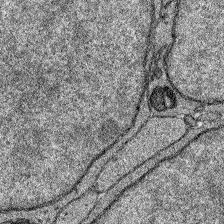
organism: Zebrafish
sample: Larval olfactory bulb